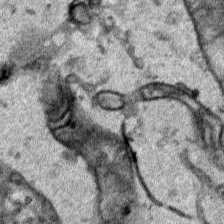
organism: Human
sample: Mitochondria in HCT116 cells